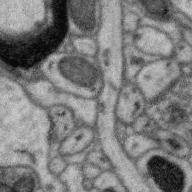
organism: Zebra finch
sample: Brain